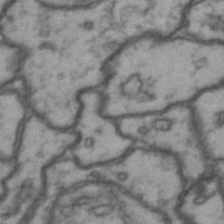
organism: Drosophila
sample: Brain